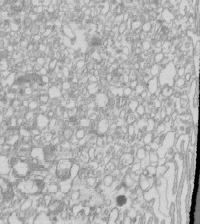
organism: Mouse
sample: Macrophages